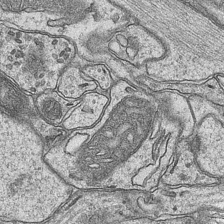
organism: Mouse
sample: CA1 Hippocampus